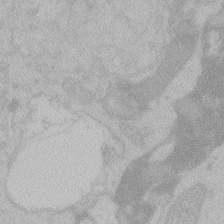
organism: Zebrafish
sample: Macrophage infected with Toxoplasma gondii